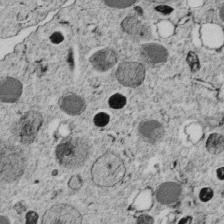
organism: C. elegans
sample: C. elegans embryo early stage